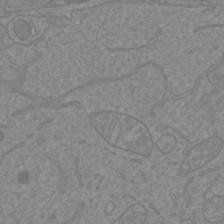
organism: Mouse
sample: Cortical neurons